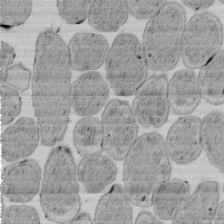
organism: E. coli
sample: Bacterial nucleoid